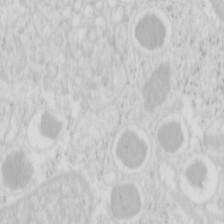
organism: Mouse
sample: Pancreas